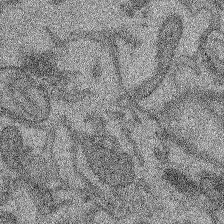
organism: Human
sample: HeLa cells